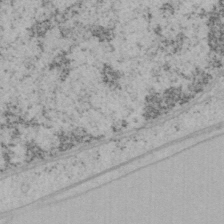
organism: Human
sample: HeLa cells